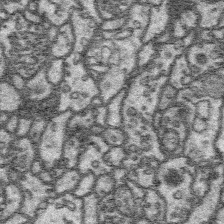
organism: Platynereis dumerilii